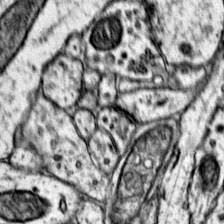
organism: Mouse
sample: Primary visual cortex